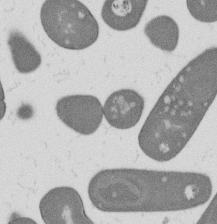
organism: B. subtilis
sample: Bacterial spore